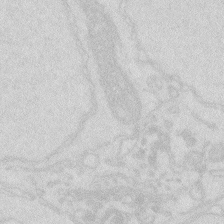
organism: Zebrafish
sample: Macrophage